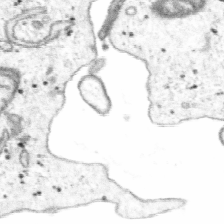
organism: Human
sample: HeLa cells